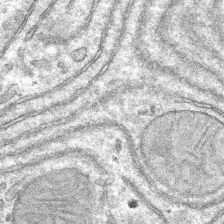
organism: Mouse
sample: Mouse hepatocytes